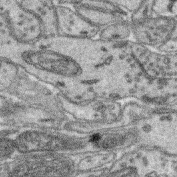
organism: Mouse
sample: Retina